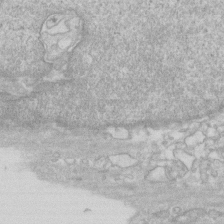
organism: Human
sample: Fibroblast cells